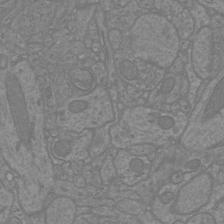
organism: Mouse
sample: Cortical neurons